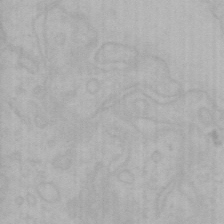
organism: Mouse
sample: Choroid plexus